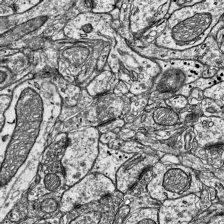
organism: Mouse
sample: Visual Cortex